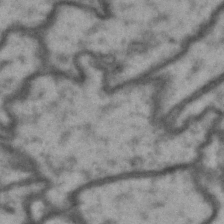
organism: Drosophila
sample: Brain